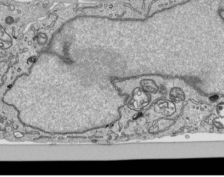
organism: Human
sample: Mitochondria in HCT116 cells